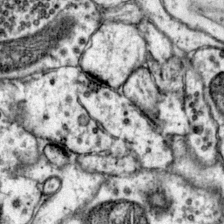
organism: Mouse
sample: Primary visual cortex